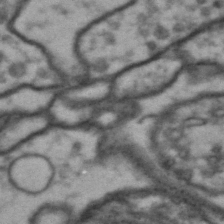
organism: Drosophila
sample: Brain